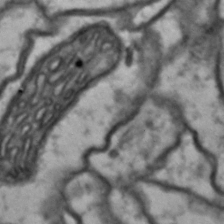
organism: Drosophila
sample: Brain